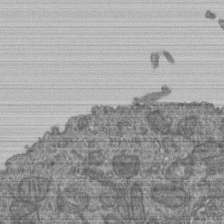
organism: Human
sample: Retinal organoid Rod and Cone cells